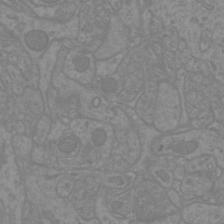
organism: Mouse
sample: Cortical neurons